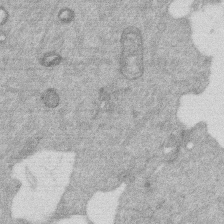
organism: Mouse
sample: Dividing mouse embryo 1 cell stage